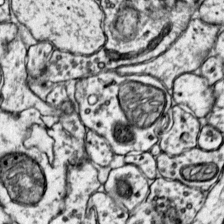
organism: Mouse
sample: Primary visual cortex